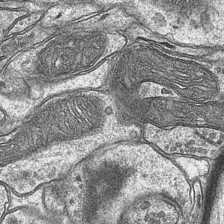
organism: Mouse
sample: CA1 Hippocampus